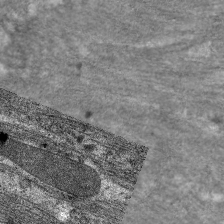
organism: C. elegans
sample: Pharynx